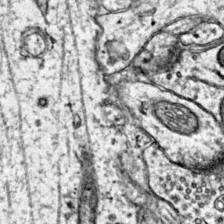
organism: Mouse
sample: Primary visual cortex